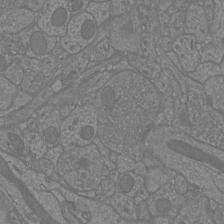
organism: Mouse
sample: Cortical neurons